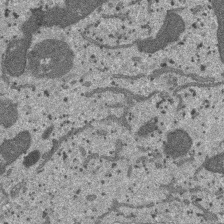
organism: Human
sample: Lung epithelial cells infected with SARS-CoV-2